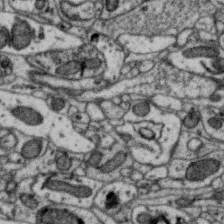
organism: Zebra finch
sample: Brain